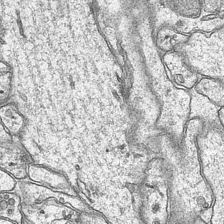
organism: Mouse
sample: CA1 Hippocampus